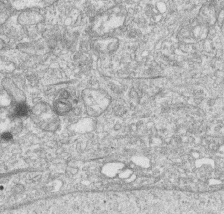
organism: Human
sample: HeLa cell HIV synapse